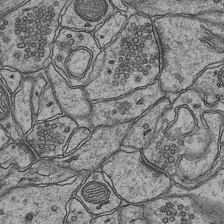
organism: Mouse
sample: CA1 Hippocampus